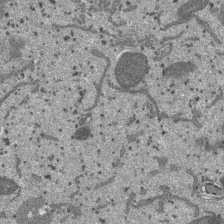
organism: Human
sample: Lung epithelial cells infected with SARS-CoV-2